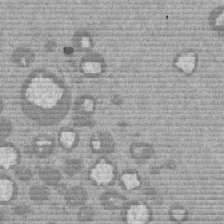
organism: Mouse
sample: Dividing mouse embryo 1 cell stage